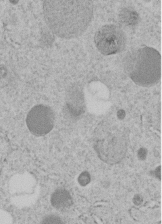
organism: C. elegans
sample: C. elegans embryo early stage